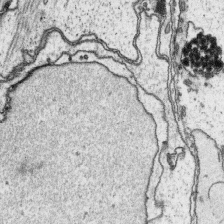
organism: Platynereis dumerilii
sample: Parapodia